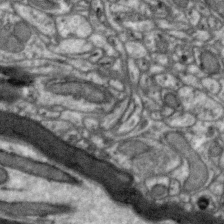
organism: Zebra finch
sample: Brain